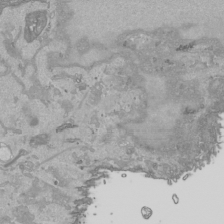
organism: Human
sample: Mitochondria in HCT116 cells